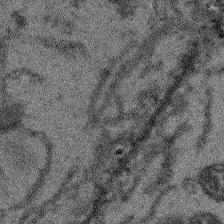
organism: Arabidopsis thaliana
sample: Root tip